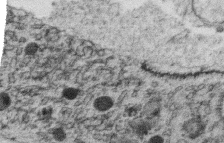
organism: C. elegans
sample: C. elegans oocyte; sperm cells